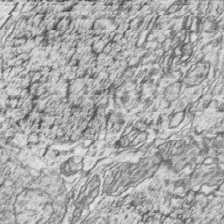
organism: Zebrafish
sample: synaptic ribbons in rod cells and cone cells